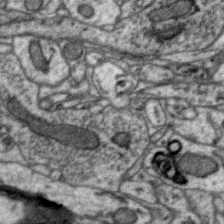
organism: Zebra finch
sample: Brain